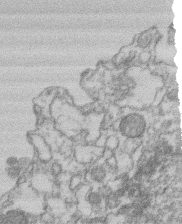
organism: Mouse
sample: T cell stromal cell synapse